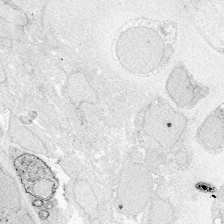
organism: Zebrafish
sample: Whole-Brain